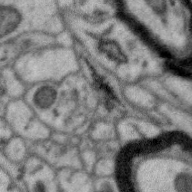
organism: Zebra finch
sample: Brain